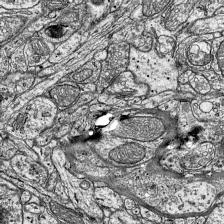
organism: Mouse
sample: Visual Cortex